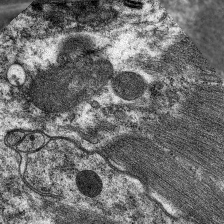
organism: C. elegans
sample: Pharynx